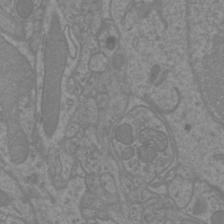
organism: Mouse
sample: Cortical neurons